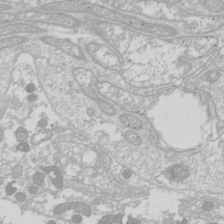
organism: Drosophila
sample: Cell division; meiosis; drosophila spermatocytes